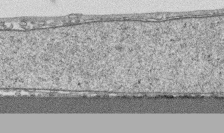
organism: Human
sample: CRL-1474